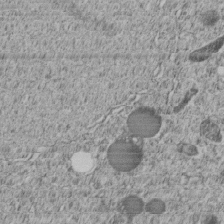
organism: C. elegans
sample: C. elegans embryo early stage